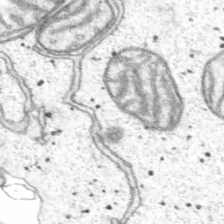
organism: Human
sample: HeLa cells